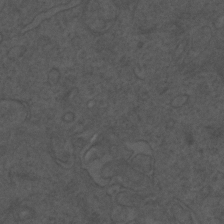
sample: Trachea